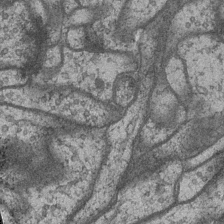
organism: Drosophila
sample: Optic medulla